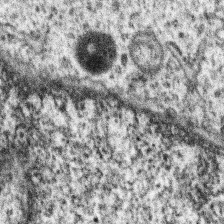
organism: Human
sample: HeLa cells